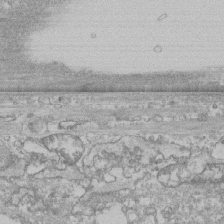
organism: Human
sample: CRL-1474